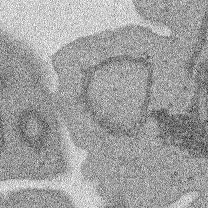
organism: Human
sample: HeLa cells